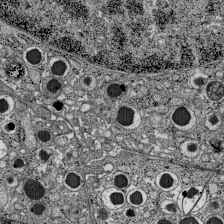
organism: C57BL Mouse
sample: Pancreatic islet